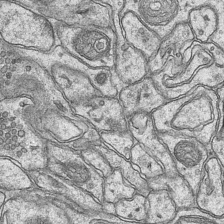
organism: Mouse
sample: CA1 Hippocampus